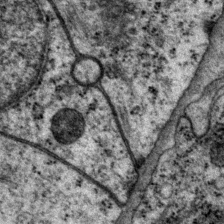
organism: P. pacificus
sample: Pharynx